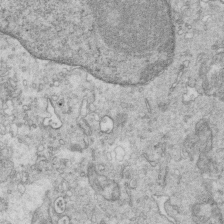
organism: Mouse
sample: Multiciliated cells